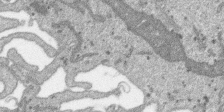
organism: Human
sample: Lung epithelial cells infected with SARS-CoV-2